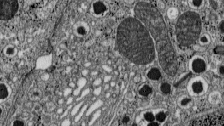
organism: C57BL Mouse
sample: Pancreatic islet